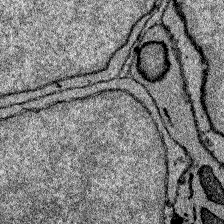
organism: Zebrafish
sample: Larval olfactory bulb